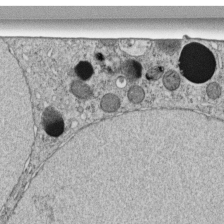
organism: C. elegans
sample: C. elegans embryo early stage